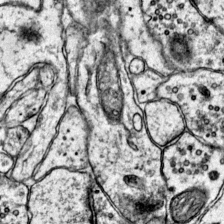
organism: Mouse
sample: Primary visual cortex